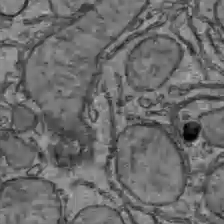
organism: C57BL Mouse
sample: Liver